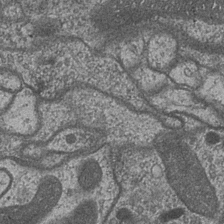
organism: Drosophila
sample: Optic medulla